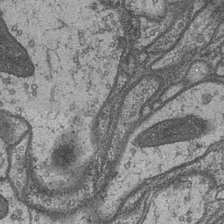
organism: Drosophila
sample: Optic medulla